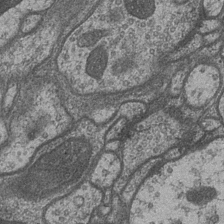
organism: Drosophila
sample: Optic medulla